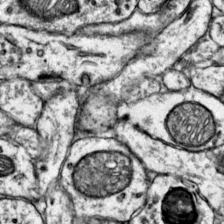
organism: Mouse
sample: Primary visual cortex